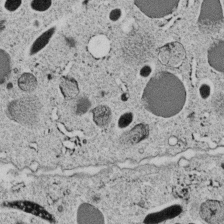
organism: C. elegans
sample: C. elegans embryo early stage